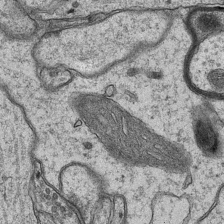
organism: Mouse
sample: CA1 Hippocampus